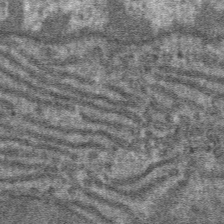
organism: Mouse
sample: Mouse hepatocytes